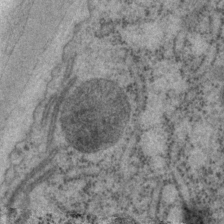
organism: P. pacificus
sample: Pharynx